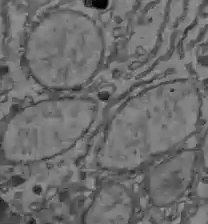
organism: C57BL Mouse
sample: Liver